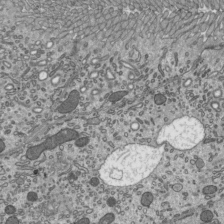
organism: Mouse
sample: Mouse epididymis efferent ductule cilia